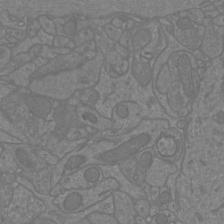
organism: Mouse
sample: Cortical neurons